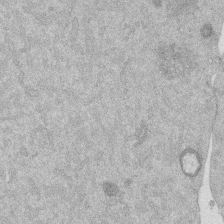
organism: Mouse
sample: Dividing mouse embryo 1 cell stage